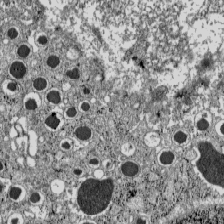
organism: C57BL Mouse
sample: Pancreatic islet